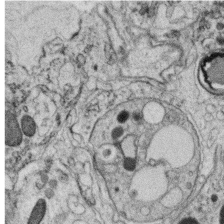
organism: C. elegans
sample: C. elegans oocyte; sperm cells